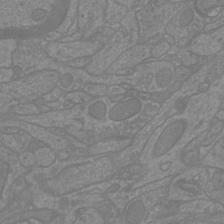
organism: Mouse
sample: Cortical neurons